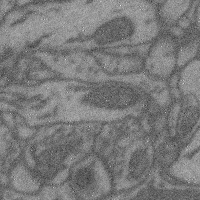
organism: Mouse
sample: Cerebral cortex